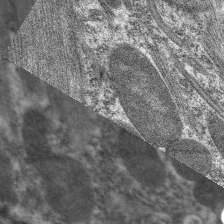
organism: C. elegans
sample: Pharynx